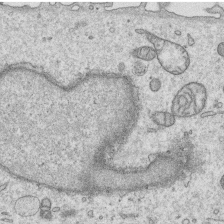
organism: Human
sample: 1205lu cells